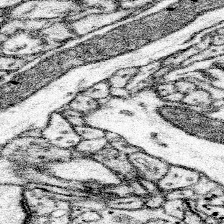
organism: Mouse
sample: Somatosensory cortex neuropil